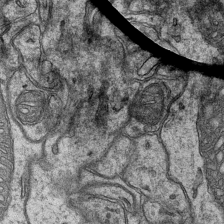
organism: Mouse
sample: CA1 Hippocampus